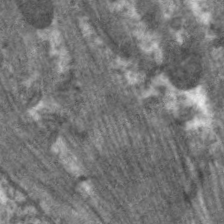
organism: C. elegans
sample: Pharynx